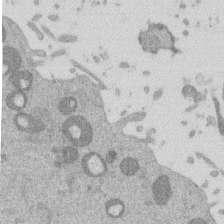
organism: Mouse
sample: Dividing mouse embryo 1 cell stage